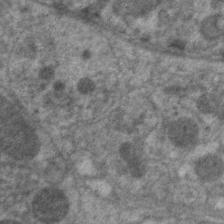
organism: C. elegans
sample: Pharynx